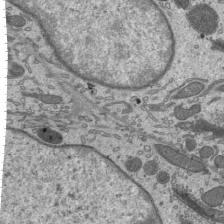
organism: Mouse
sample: Mouse epididymis efferent ductule cilia